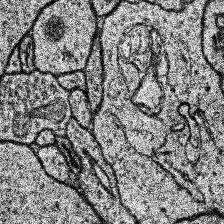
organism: Human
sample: Temporal Lobe